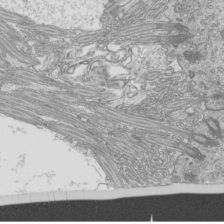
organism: Mouse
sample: Cilia; mouse epididymis